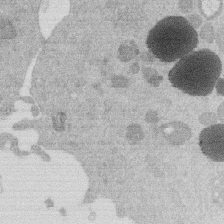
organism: Mouse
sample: Dividing mouse embryo 1 cell stage